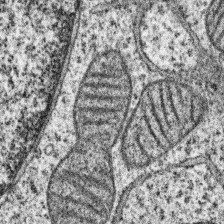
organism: Human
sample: HeLa cells